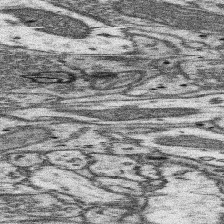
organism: Mouse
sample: Somatosensory cortex neuropil